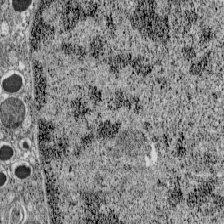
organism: C57BL Mouse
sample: Pancreatic islet